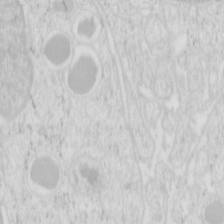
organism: Mouse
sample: Pancreas